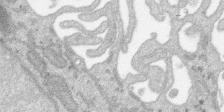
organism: Human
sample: Lung epithelial cells infected with SARS-CoV-2